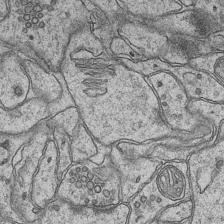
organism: Mouse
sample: CA1 Hippocampus